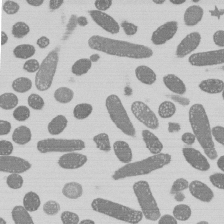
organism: E. coli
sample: Bacterial nucleoid